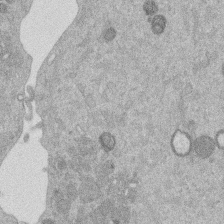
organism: Mouse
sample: Dividing mouse embryo 1 cell stage